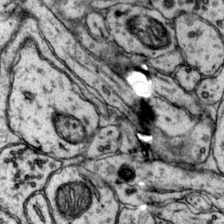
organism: Mouse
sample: Primary visual cortex